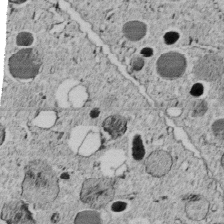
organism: C. elegans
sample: C. elegans embryo early stage